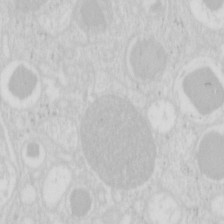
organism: Mouse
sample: Pancreas